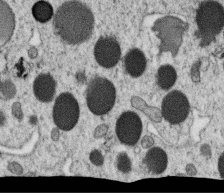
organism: C. elegans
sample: C. elegans oocyte; sperm cells